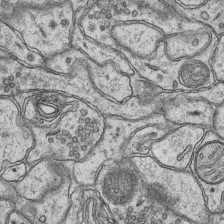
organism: Mouse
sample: CA1 Hippocampus